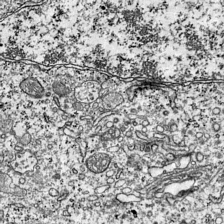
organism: Mouse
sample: Visual Cortex